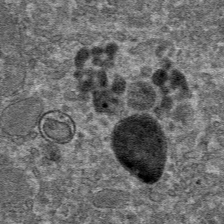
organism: Mouse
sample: Mouse hepatocytes